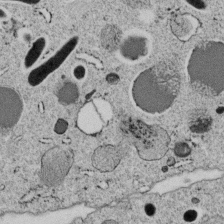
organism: C. elegans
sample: C. elegans embryo early stage